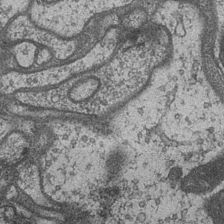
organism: Drosophila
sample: Optic medulla